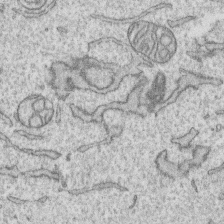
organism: Human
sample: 1205lu cells